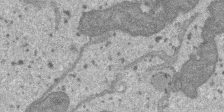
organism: Human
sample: Lung epithelial cells infected with SARS-CoV-2